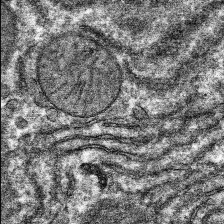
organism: Mouse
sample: Mouse hepatocytes